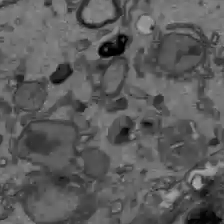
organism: C57BL Mouse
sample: Liver